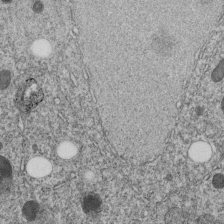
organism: C. elegans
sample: C. elegans embryo early stage